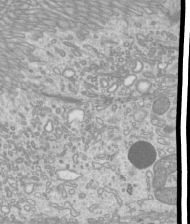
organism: Mouse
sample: Cilia; mouse epididymis